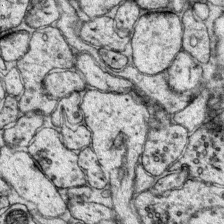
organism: Mouse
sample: Primary visual cortex